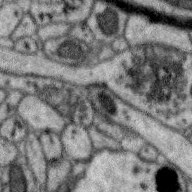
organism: Zebra finch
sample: Brain